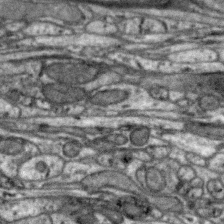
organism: Zebra finch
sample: Brain